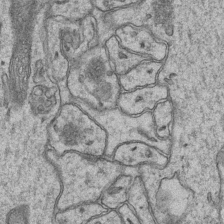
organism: Mouse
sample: CA1 Hippocampus